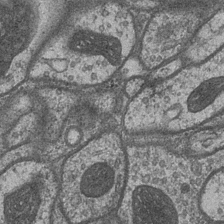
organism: Drosophila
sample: Optic medulla